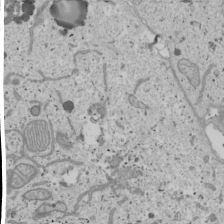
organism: Human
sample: Mitochondria in U2OS cells